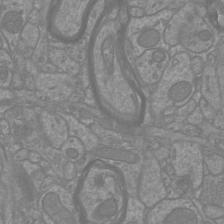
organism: Mouse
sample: Cortical neurons